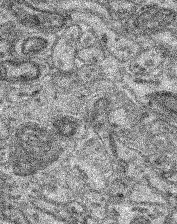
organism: Mouse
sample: Retina